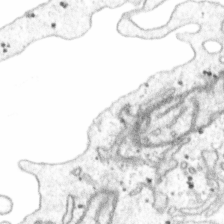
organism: Human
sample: HeLa cells